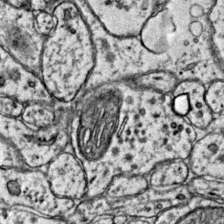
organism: Mouse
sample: Primary visual cortex